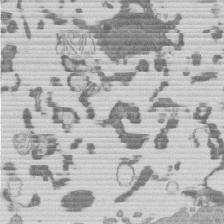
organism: Mouse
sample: Dividing mouse embryo 1 cell stage